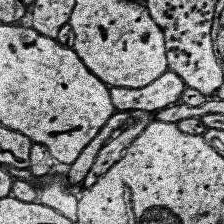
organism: Human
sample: Temporal Lobe